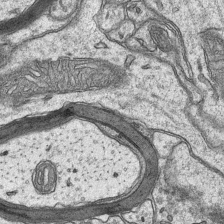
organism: Mouse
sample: CA1 Hippocampus